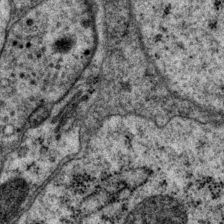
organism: P. pacificus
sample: Pharynx